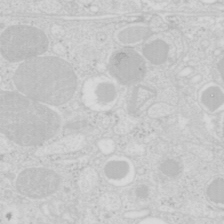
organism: Mouse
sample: Pancreas